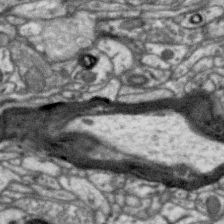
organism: Zebra finch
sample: Brain